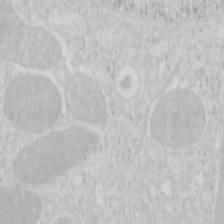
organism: Mouse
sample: Pancreas